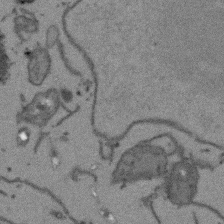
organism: Arabidopsis thaliana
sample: Root tip